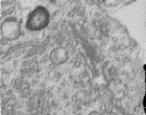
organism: Human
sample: Centriole in RPE cells